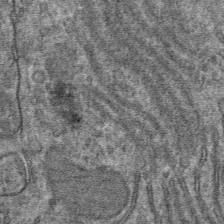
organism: Mouse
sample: Mouse hepatocytes